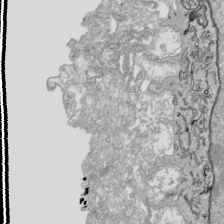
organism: Human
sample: Mitochondria in HCT116 cells